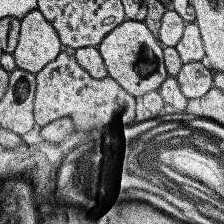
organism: Human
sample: Temporal Lobe